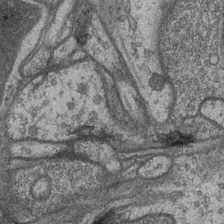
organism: Drosophila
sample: Optic medulla